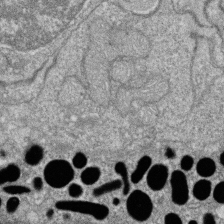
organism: Zebrafish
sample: Cilia; retinal pigment epithelium